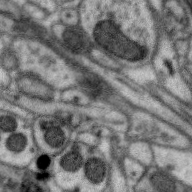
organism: Zebra finch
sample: Brain